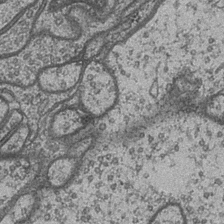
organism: Drosophila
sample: Optic medulla